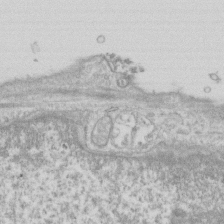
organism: Human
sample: Fibroblast cells